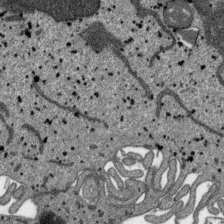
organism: Human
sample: Lung epithelial cells, uninfected (mock) control